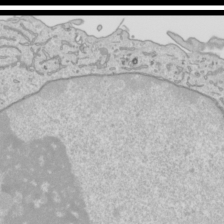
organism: Human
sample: Mitochondria in HCT116 cells